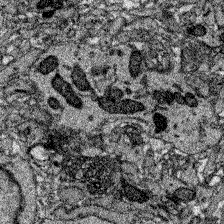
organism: Zebrafish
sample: Larval olfactory bulb